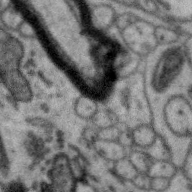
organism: Zebra finch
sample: Brain